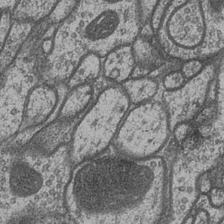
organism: Drosophila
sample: Optic medulla